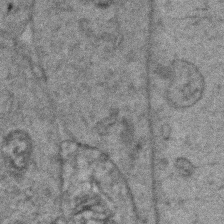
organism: Zebrafish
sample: Zebrafish embryo